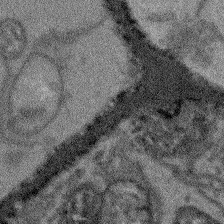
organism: Arabidopsis thaliana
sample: Root tip